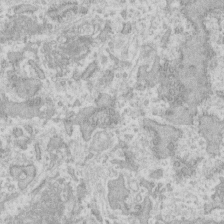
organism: Human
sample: Fibroblast cells